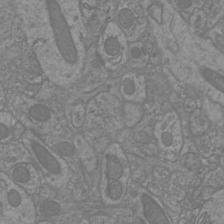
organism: Mouse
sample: Cortical neurons